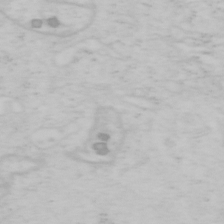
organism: Mouse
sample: OT-I killer T cells with ID8 ovarian cancer cells